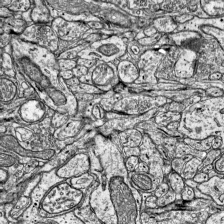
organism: Mouse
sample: Visual Cortex